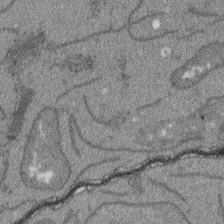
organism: Arabidopsis thaliana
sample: Root tip